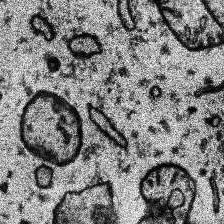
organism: Human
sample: Temporal Lobe